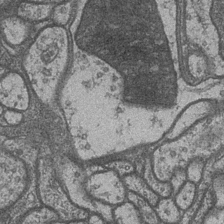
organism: Drosophila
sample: Optic medulla